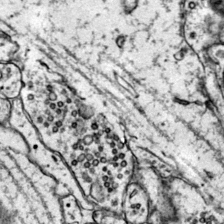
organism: Mouse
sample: Primary visual cortex